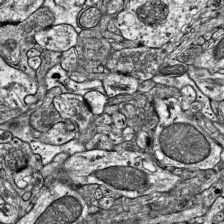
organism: Mouse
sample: Visual Cortex